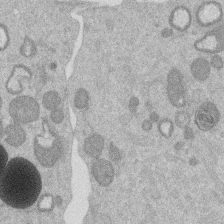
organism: Mouse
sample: Dividing mouse embryo 1 cell stage